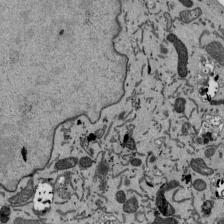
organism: Mouse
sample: ED-1 cell nuclei; centrioles